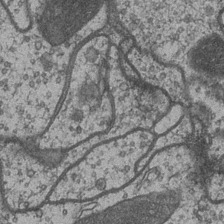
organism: Drosophila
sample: Optic medulla